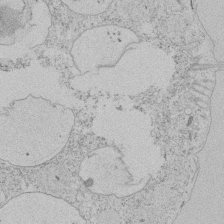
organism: Tetrahymena